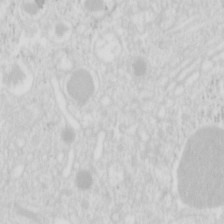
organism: Mouse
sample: Pancreas